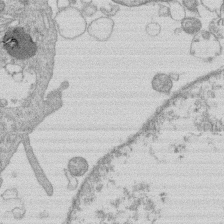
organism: Human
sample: Macrophage cells